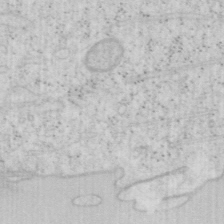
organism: Human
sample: HeLa cells